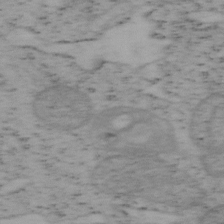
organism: Mouse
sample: OT-I killer T cells with ID8 ovarian cancer cells